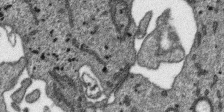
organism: Human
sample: Lung epithelial cells infected with SARS-CoV-2